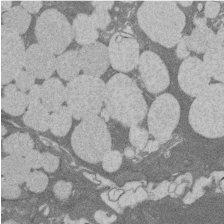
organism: Rat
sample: Salivary granule